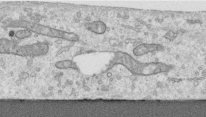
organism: Human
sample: Centriole in RPE cells